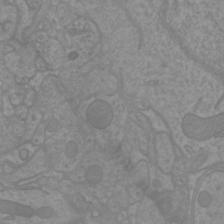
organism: Mouse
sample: Cortical neurons